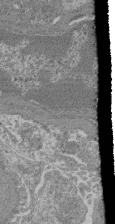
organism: Mouse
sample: Glomerulus